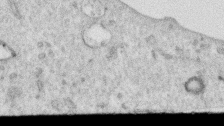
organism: Human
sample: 1205lu cells